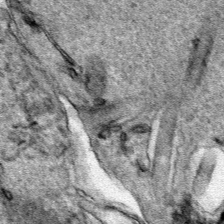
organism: Human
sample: Mitochondria in HCT116 cells